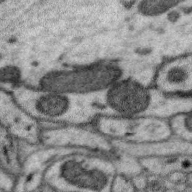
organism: Zebra finch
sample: Brain